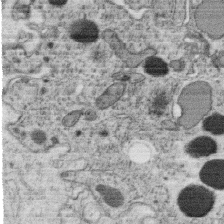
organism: C. elegans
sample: C. elegans oocyte; sperm cells